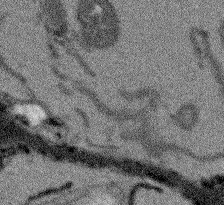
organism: Arabidopsis thaliana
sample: Root tip